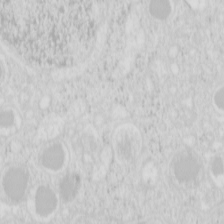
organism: Mouse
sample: Pancreas